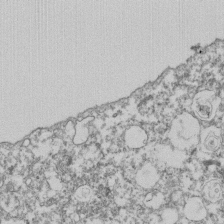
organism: Dictyostelium discoideum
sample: Dictyostelium multivesicular bodies